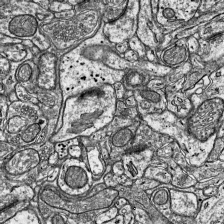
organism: Mouse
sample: Visual Cortex